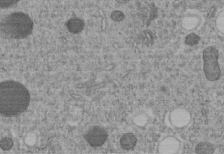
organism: C. elegans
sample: C. elegans embryo early stage